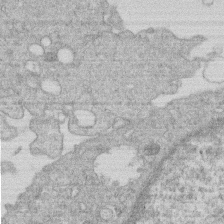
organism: Human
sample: Macrophage cells